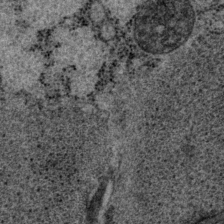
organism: P. pacificus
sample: Pharynx